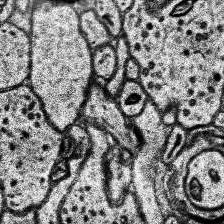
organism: Human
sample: Temporal Lobe